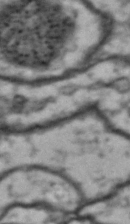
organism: Drosophila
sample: Brain